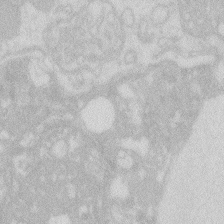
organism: Zebrafish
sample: Macrophage